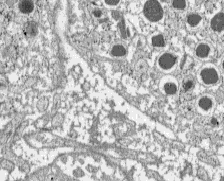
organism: C57BL Mouse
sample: Pancreatic islet